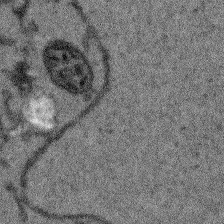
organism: Arabidopsis thaliana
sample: Root tip